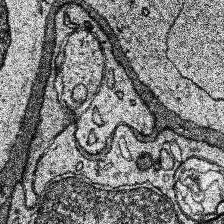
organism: Human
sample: Temporal Lobe